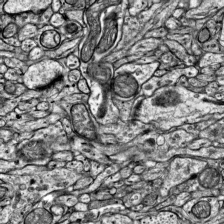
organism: Mouse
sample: Visual Cortex